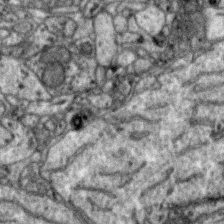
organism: Zebra finch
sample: Brain